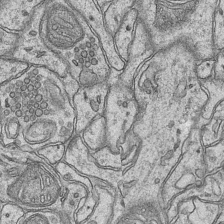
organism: Mouse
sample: CA1 Hippocampus